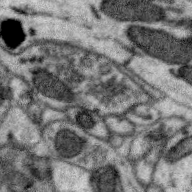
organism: Zebra finch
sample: Brain